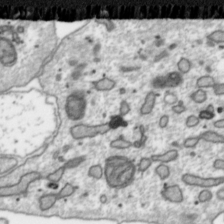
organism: Toxoplasma gondii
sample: Parasites in a vacuole inside a host cell